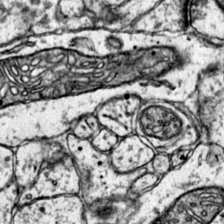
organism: Mouse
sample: Primary visual cortex